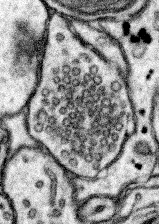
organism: Mouse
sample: Somatosensory cortex neuropil